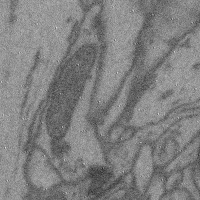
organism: Mouse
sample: Cerebral cortex